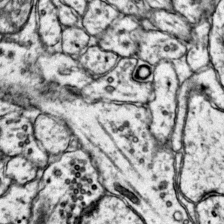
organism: Mouse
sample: Primary visual cortex